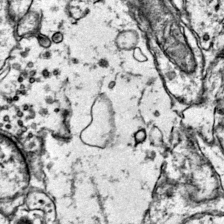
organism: Mouse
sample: Primary visual cortex